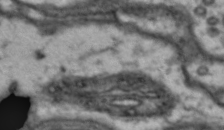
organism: Drosophila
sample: Brain